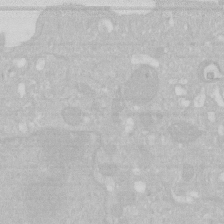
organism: Human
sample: HIV infected U937 cells